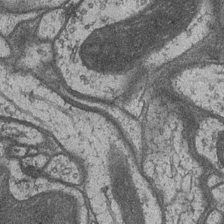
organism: Drosophila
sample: Optic medulla